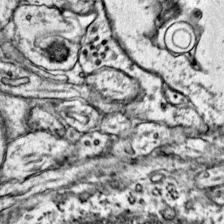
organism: Mouse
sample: Primary visual cortex